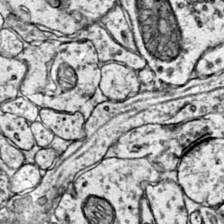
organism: Mouse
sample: Primary visual cortex